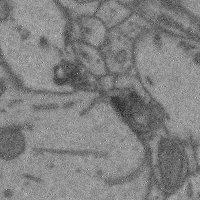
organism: Mouse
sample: Cerebral cortex